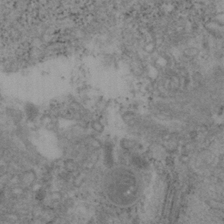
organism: Mouse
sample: OT-I killer T cells with ID8 ovarian cancer cells